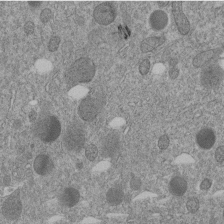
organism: C. elegans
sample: C. elegans embryo early stage